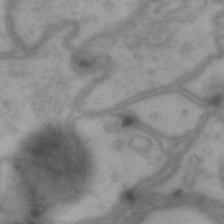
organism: Drosophila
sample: Brain